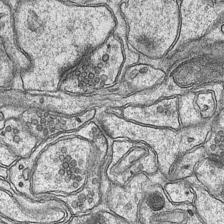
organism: Mouse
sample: CA1 Hippocampus